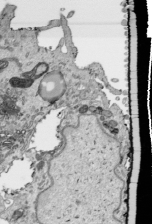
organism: Human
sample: Mitochondria in HCT116 cells